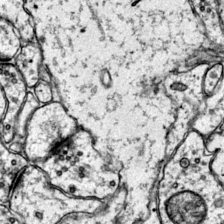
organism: Mouse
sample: Primary visual cortex